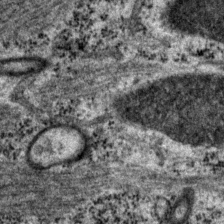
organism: P. pacificus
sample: Pharynx